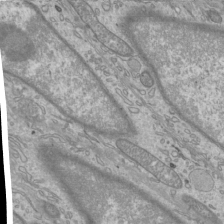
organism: Mouse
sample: Cilia; mouse epididymis